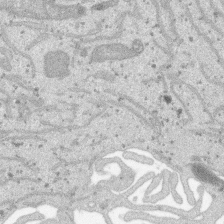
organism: Human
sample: Lung epithelial cells infected with SARS-CoV-2